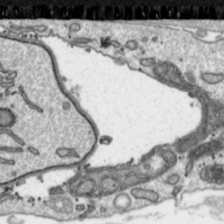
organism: Toxoplasma gondii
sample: Parasites in a vacuole inside a host cell